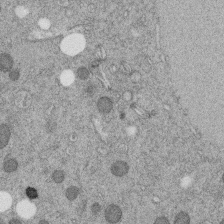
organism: C. elegans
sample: C. elegans embryo early stage